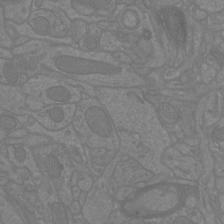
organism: Mouse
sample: Cortical neurons